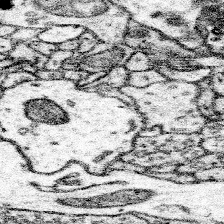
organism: Mouse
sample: Somatosensory cortex neuropil